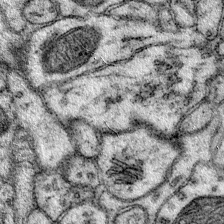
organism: Mouse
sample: Primary visual cortex